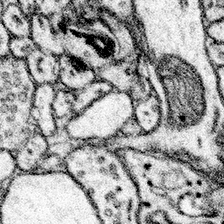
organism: Mouse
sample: Somatosensory cortex neuropil